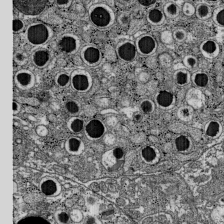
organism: C57BL Mouse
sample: Pancreatic islet